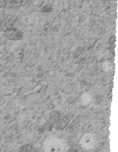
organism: C. elegans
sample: C. elegans embryo early stage